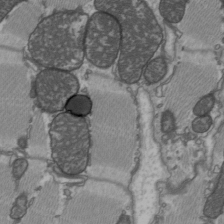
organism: C57BL Mouse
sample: Heart